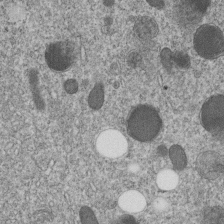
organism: C. elegans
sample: C. elegans embryo early stage